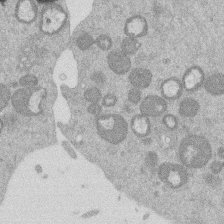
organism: Mouse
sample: Dividing mouse embryo 1 cell stage